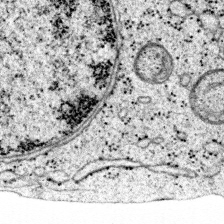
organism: Human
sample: HeLa cells